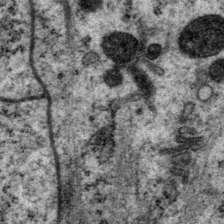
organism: P. pacificus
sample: Pharynx